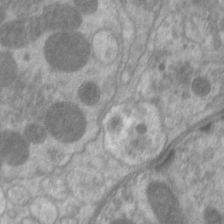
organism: C. elegans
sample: Pharynx